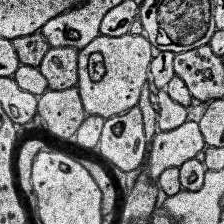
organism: Human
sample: Temporal Lobe